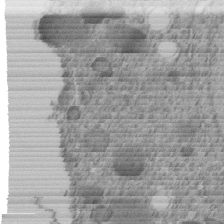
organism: C. elegans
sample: C. elegans embryo early stage